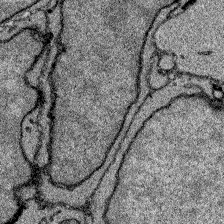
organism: Zebrafish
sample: Larval olfactory bulb